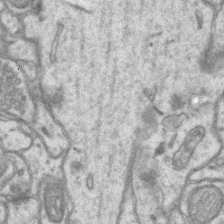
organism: Mouse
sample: CA1 Hippocampus